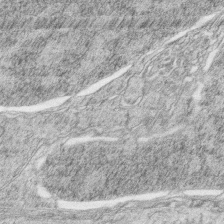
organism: Zebrafish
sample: synaptic ribbons in rod cells and cone cells